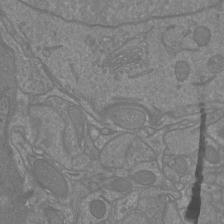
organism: Mouse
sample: Cortical neurons